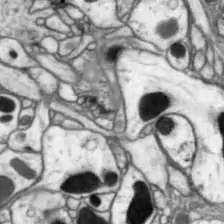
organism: Drosophila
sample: Optic lobe